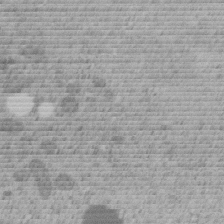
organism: C. elegans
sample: C. elegans embryo early stage